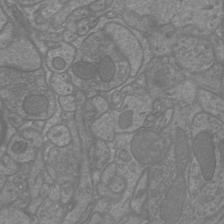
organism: Mouse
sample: Cortical neurons